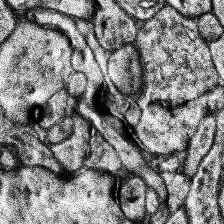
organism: Human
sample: Temporal Lobe